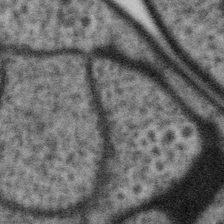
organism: Gemmata obscuriglobus